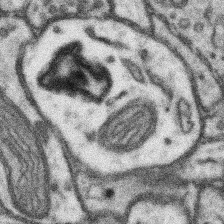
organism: Mouse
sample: Somatosensory cortex neuropil